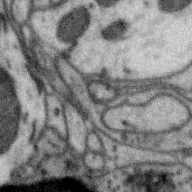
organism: Zebra finch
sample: Brain